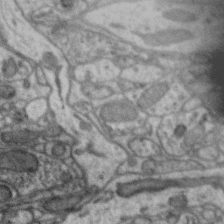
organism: Zebra finch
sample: Brain